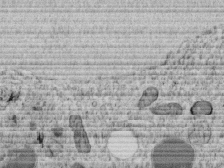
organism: C. elegans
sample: C. elegans embryo early stage